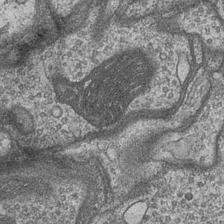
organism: Drosophila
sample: Optic medulla